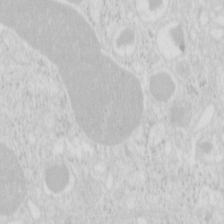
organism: Mouse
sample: Pancreas